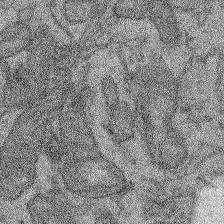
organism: Human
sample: HeLa cells